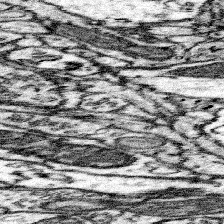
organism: Mouse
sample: Somatosensory cortex neuropil